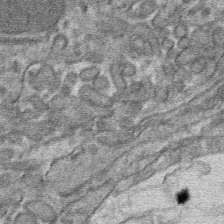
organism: Mouse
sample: Mouse hepatocytes